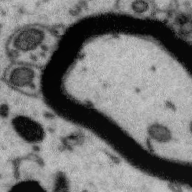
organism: Zebra finch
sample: Brain